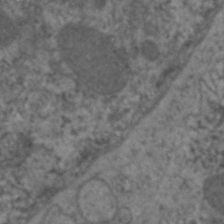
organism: C. elegans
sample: Pharynx